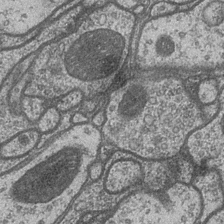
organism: Drosophila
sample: Optic medulla